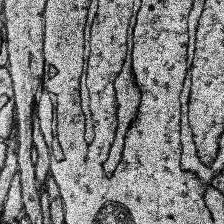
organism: Human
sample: Temporal Lobe